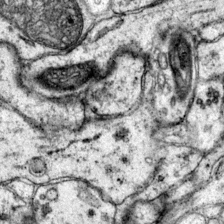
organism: Mouse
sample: Primary visual cortex